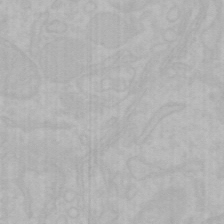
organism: Mouse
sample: Choroid plexus